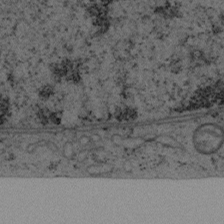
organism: Human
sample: HeLa cells